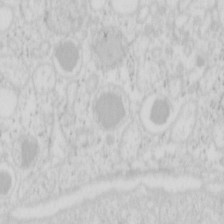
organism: Mouse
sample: Pancreas